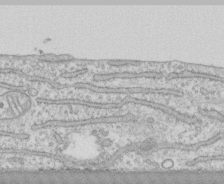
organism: Human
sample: CRL-1474